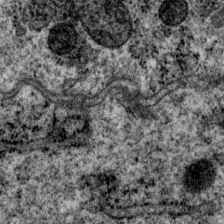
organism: P. pacificus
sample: Pharynx